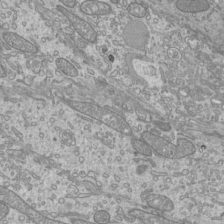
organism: Mouse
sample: Cilia; mouse epididymis